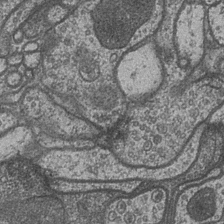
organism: Drosophila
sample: Optic medulla